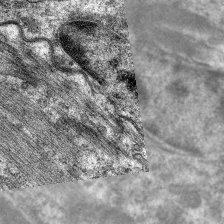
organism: C. elegans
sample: Pharynx